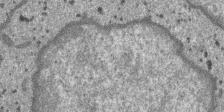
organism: Human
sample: Lung epithelial cells infected with SARS-CoV-2